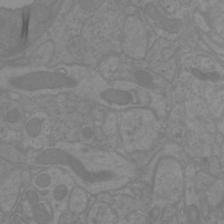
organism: Mouse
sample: Cortical neurons